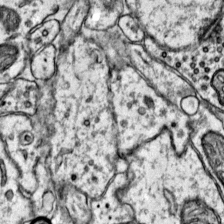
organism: Mouse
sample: Primary visual cortex